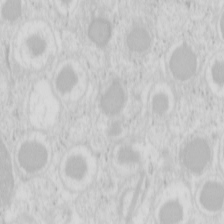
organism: Mouse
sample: Pancreas